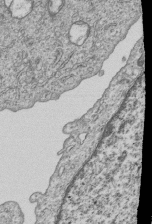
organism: Human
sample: MDA-MB-231 cells